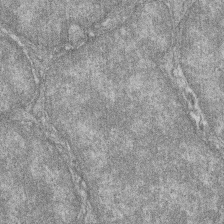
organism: Zebrafish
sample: Cilia; retinal pigment epithelium